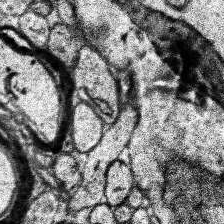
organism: Human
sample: Temporal Lobe